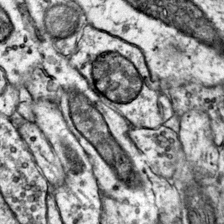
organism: Mouse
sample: Primary visual cortex